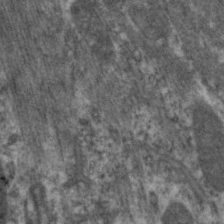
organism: C. elegans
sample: Pharynx